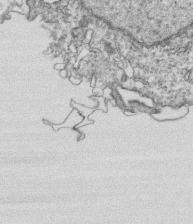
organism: Human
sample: HeLa cell HIV synapse